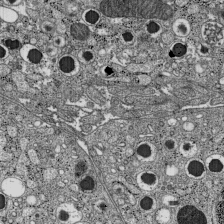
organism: C57BL Mouse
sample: Pancreatic islet